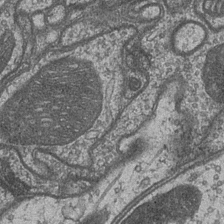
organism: Drosophila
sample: Optic medulla